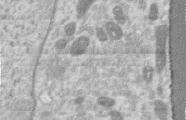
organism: Human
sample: Centriole in RPE cells